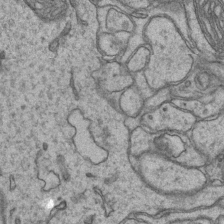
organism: Mouse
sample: CA1 Hippocampus